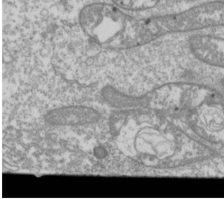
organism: Drosophila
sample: Cell division; meiosis; drosophila spermatocytes